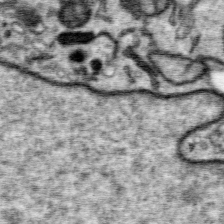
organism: Human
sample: HeLa cells